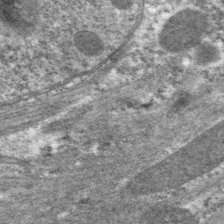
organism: C. elegans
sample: Pharynx